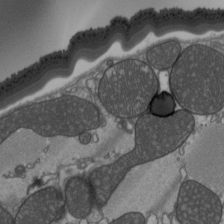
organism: C57BL Mouse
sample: Heart